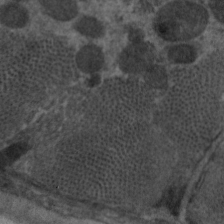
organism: C. elegans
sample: Pharynx